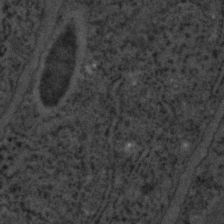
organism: C. elegans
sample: C. elegans embryo